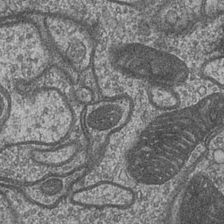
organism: Drosophila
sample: Optic medulla